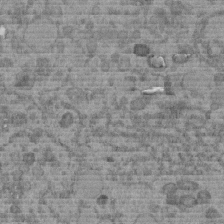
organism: C. elegans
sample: C. elegans embryo early stage